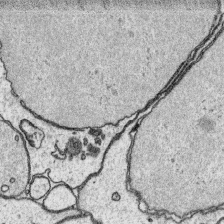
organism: Platynereis dumerilii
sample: Parapodia